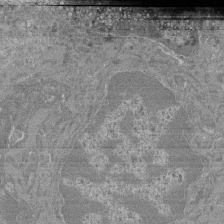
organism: Mouse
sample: Glomerulus